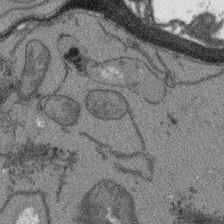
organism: Arabidopsis thaliana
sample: Root tip